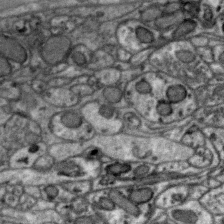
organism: Zebra finch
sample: Brain